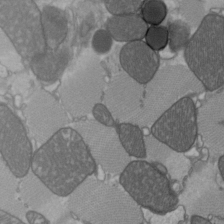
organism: C57BL Mouse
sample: Heart